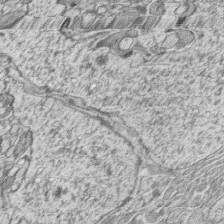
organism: Zebrafish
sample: synaptic ribbons in rod cells and cone cells